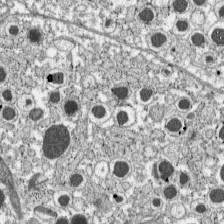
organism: C57BL Mouse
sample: Pancreatic islet